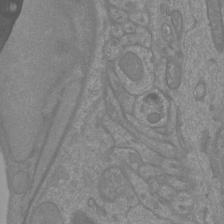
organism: Mouse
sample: Cortical neurons